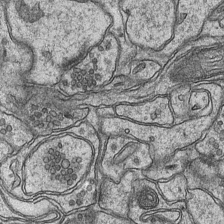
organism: Mouse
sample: CA1 Hippocampus